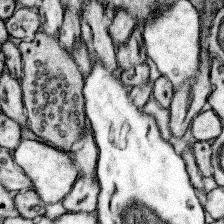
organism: Mouse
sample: Somatosensory cortex neuropil